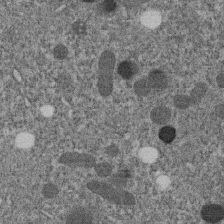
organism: C. elegans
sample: C. elegans embryo early stage